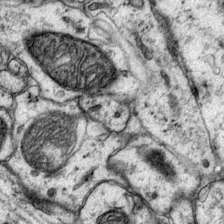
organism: Mouse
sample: Primary visual cortex